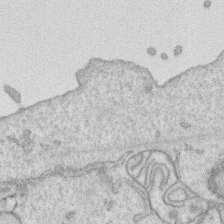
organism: Human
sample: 1205lu cells